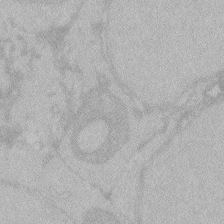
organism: Zebrafish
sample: Macrophage infected with Toxoplasma gondii